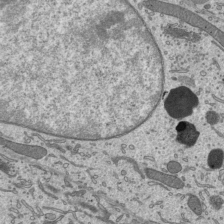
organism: Mouse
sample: Mouse epididymis efferent ductule cilia